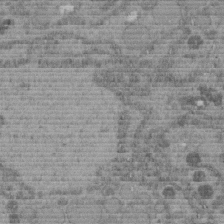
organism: C. elegans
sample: C. elegans embryo early stage